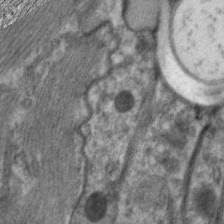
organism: C. elegans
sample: Pharynx